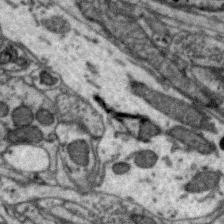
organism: Zebra finch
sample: Brain